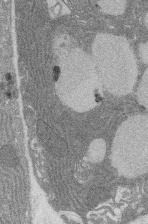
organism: Rat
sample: Salivary granule